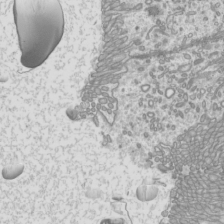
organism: Mouse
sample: Cilia; mouse epididymis